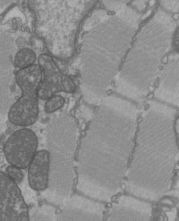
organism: C57BL Mouse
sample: Heart